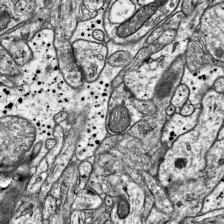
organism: Mouse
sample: Visual Cortex